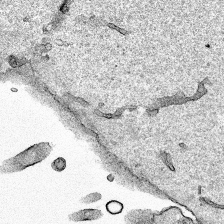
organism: Human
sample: Mitochondria in HCT116 cells